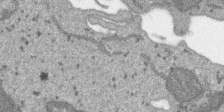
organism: Human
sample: Lung epithelial cells infected with SARS-CoV-2